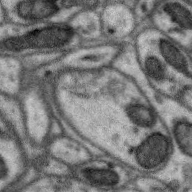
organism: Zebra finch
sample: Brain